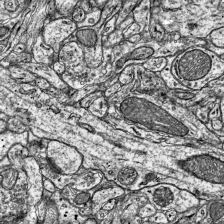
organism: Mouse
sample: Visual Cortex